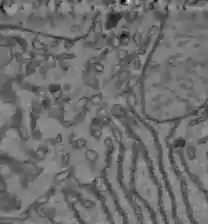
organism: C57BL Mouse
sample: Liver